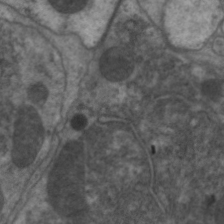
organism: C. elegans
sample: Pharynx